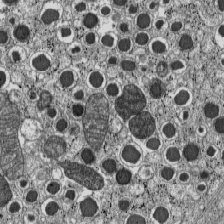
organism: C57BL Mouse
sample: Pancreatic islet